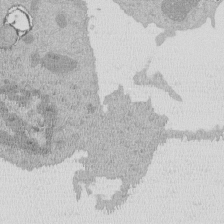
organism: Mouse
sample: Activated Pmel transgenic CD8+ T Cells